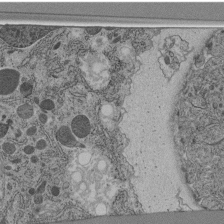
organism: C. elegans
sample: C. elegans pharynx